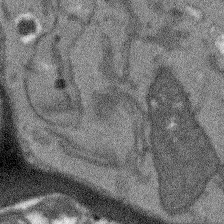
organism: Arabidopsis thaliana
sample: Root tip